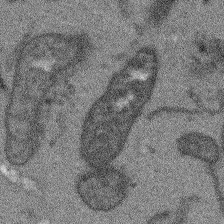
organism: Arabidopsis thaliana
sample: Root tip